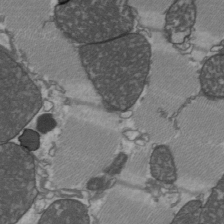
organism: C57BL Mouse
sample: Heart